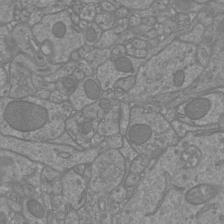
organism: Mouse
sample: Cortical neurons